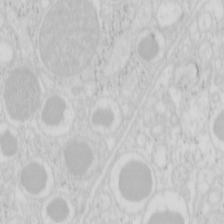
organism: Mouse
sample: Pancreas